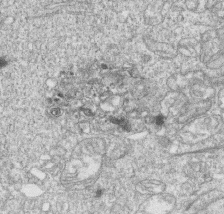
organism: Human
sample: HeLa cell HIV synapse